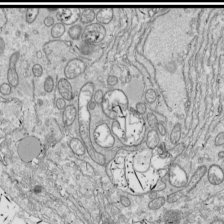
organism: Drosophila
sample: Cell division; meiosis; drosophila spermatocytes